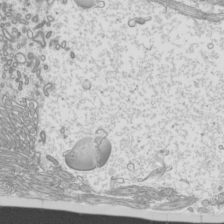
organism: Mouse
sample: Cilia; mouse epididymis